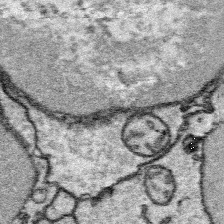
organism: Platynereis dumerilii